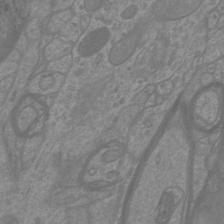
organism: Mouse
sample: Cortical neurons